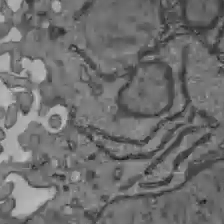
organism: C57BL Mouse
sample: Liver